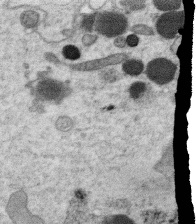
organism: C. elegans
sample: C. elegans oocyte; sperm cells